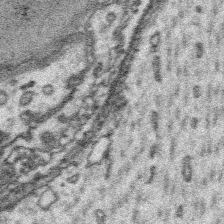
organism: Platynereis dumerilii